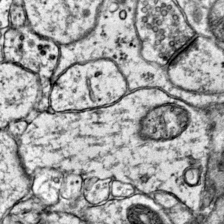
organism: Mouse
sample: Primary visual cortex